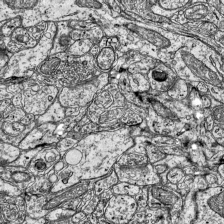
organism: Mouse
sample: Visual Cortex